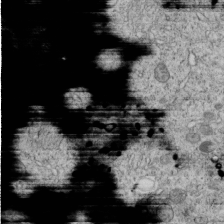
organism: C. elegans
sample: C. elegans embryo early stage